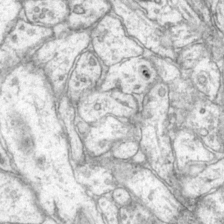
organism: Mouse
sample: Primary visual cortex